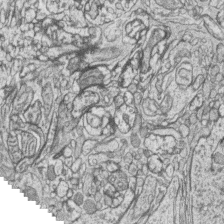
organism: Zebrafish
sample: synaptic ribbons in rod cells and cone cells